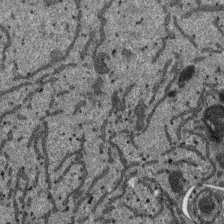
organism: Human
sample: Lung epithelial cells infected with SARS-CoV-2